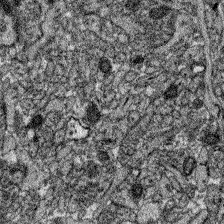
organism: Zebrafish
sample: Larval olfactory bulb